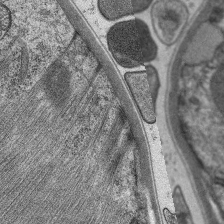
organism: C. elegans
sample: Pharynx